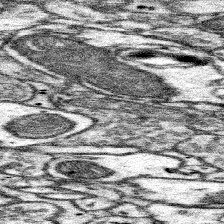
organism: Mouse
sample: Somatosensory cortex neuropil